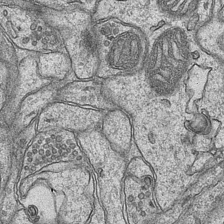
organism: Mouse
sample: CA1 Hippocampus